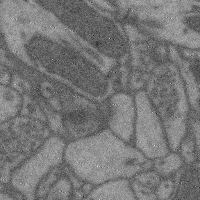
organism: Mouse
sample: Cerebral cortex